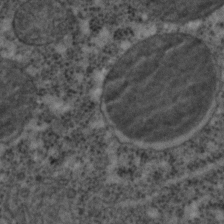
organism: C. elegans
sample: C. elegans embryo